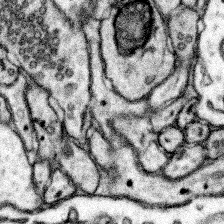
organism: Mouse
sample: Somatosensory cortex neuropil